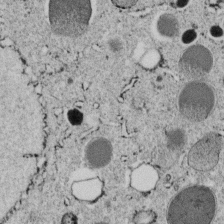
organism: C. elegans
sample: C. elegans embryo early stage